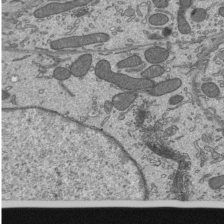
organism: Mouse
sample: Mouse epididymis efferent ductule cilia